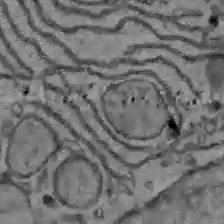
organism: C57BL Mouse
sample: Liver